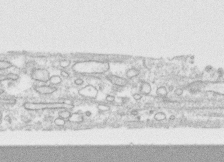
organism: Human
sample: CRL-1474